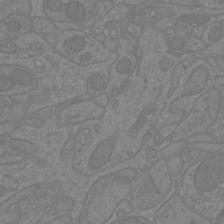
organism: Mouse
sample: Cortical neurons